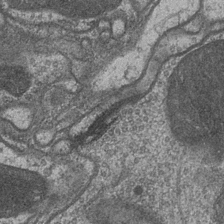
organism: Drosophila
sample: Optic medulla